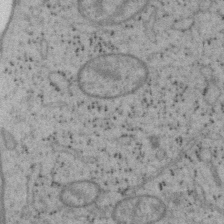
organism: Human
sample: HeLa cells